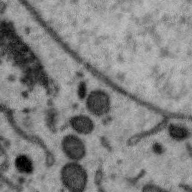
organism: Zebra finch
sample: Brain